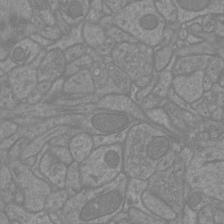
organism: Mouse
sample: Cortical neurons